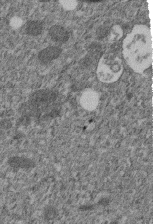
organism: C. elegans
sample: C. elegans embryo early stage